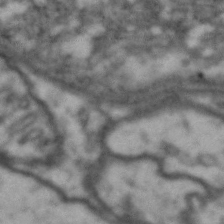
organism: Drosophila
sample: Brain